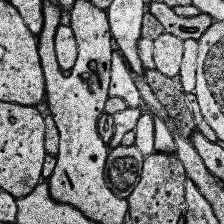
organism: Human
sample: Temporal Lobe